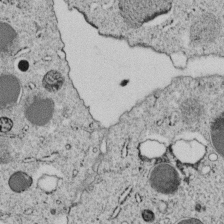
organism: C. elegans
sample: C. elegans embryo early stage